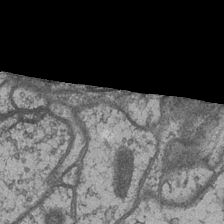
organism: Drosophila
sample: Optic medulla